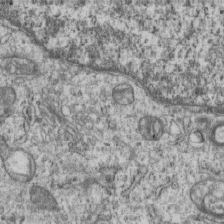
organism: Human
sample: MDA-MB-231 cells